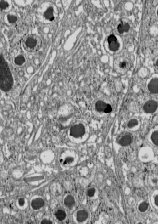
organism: C57BL Mouse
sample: Pancreatic islet